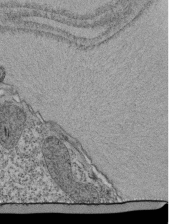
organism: Tetrahymena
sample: Cilia in tetrahymena